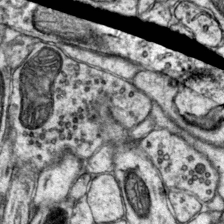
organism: Mouse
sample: Primary visual cortex